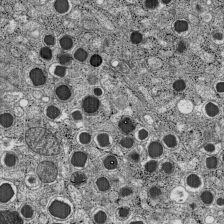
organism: C57BL Mouse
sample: Pancreatic islet